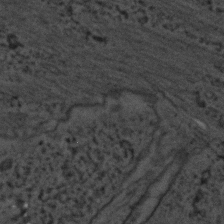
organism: C. elegans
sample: C. elegans embryo